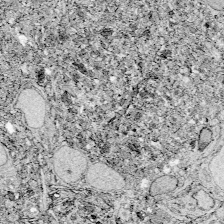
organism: Zebrafish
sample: Whole-Brain